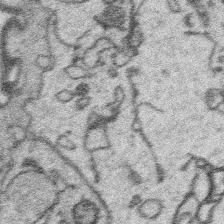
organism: Platynereis dumerilii